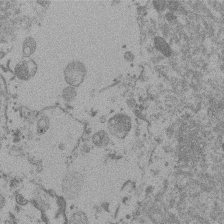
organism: Mouse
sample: Dividing mouse embryo 1 cell stage